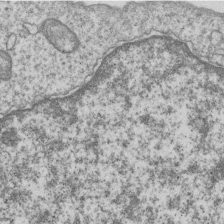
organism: Human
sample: MDA-MB-231 cells